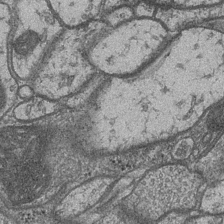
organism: Drosophila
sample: Optic medulla